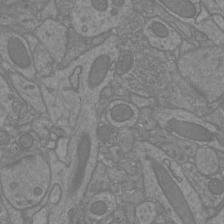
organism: Mouse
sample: Cortical neurons